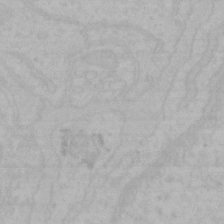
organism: Mouse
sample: Choroid plexus